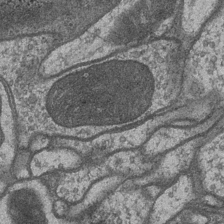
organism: Drosophila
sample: Optic medulla